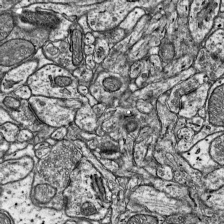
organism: Mouse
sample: Visual Cortex